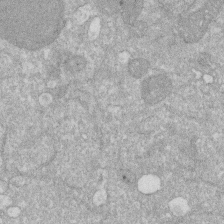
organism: Human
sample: HIV infected U937 cells